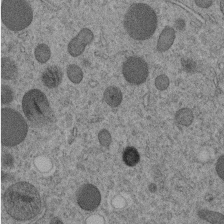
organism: C. elegans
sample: C. elegans embryo early stage